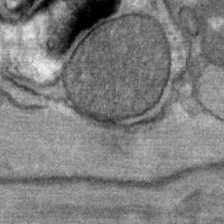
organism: Mouse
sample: Mouse Salivary gland